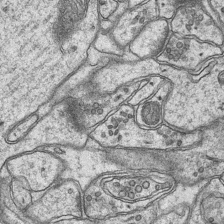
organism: Mouse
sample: CA1 Hippocampus